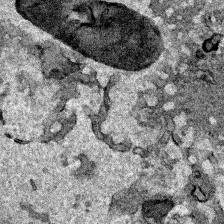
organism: Human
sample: Mitochondria in HCT116 cells